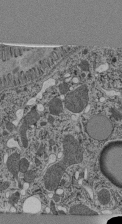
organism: C. elegans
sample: C. elegans pharynx